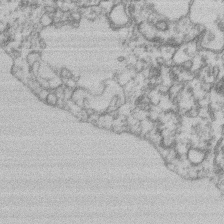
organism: Mouse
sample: T cell stromal cell synapse